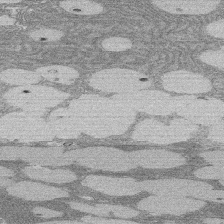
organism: Rat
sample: Salivary granule